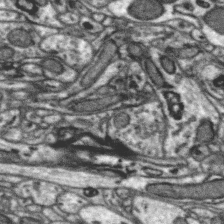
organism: Zebra finch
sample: Brain